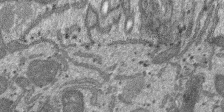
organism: Human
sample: Lung epithelial cells infected with SARS-CoV-2